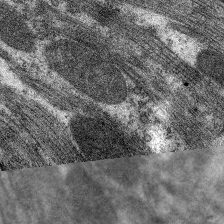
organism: C. elegans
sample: Pharynx